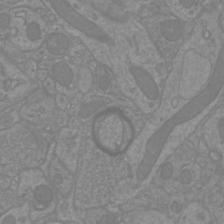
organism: Mouse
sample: Cortical neurons